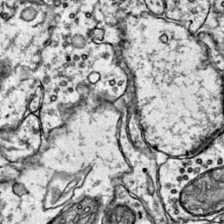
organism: Mouse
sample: Primary visual cortex